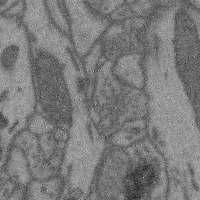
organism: Mouse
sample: Cerebral cortex